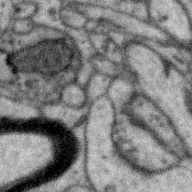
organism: Zebra finch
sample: Brain